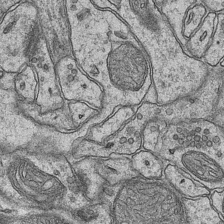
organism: Mouse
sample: CA1 Hippocampus